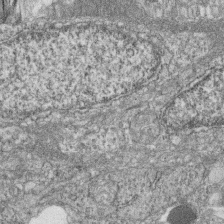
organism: Zebrafish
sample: Cilia; retinal pigment epithelium